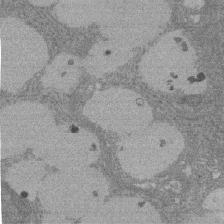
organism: Rat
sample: Salivary granule